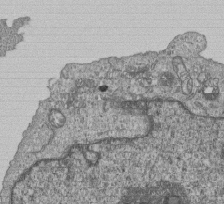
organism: Human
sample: MDA-MB-231 cells